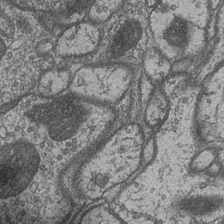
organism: Drosophila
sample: Optic medulla